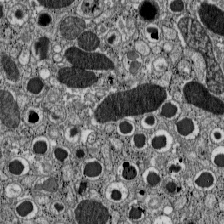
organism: C57BL Mouse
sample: Pancreatic islet